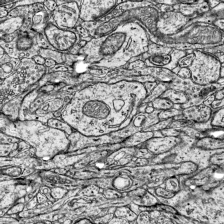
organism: Mouse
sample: Visual Cortex